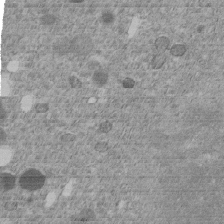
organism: C. elegans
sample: C. elegans embryo early stage